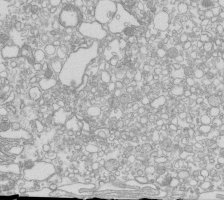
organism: Mouse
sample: Macrophages